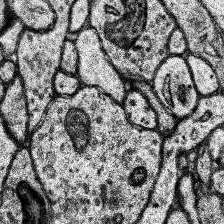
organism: Human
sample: Temporal Lobe